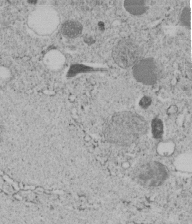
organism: C. elegans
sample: C. elegans embryo early stage